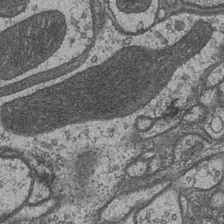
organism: Drosophila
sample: Optic medulla